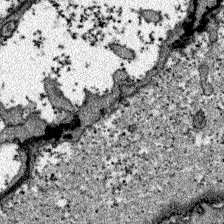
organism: Zebrafish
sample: Larval olfactory bulb